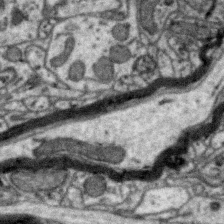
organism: Zebra finch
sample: Brain